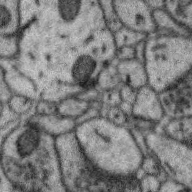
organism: Zebra finch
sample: Brain